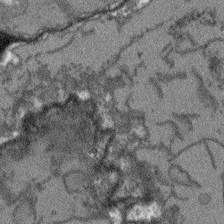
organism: Arabidopsis thaliana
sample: Root tip